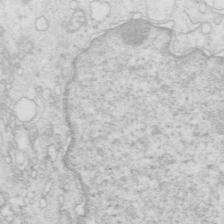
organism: Mouse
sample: Multiciliated cells